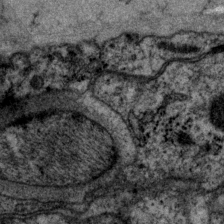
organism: P. pacificus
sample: Pharynx